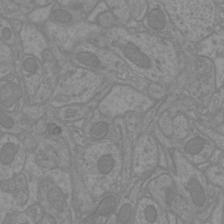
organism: Mouse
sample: Cortical neurons